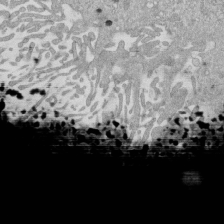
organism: Mouse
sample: ED-1 cell nuclei; centrioles